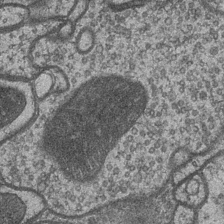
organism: Drosophila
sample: Optic medulla